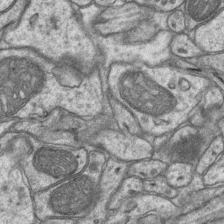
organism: Mouse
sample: CA1 Hippocampus